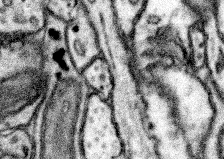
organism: Mouse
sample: Somatosensory cortex neuropil